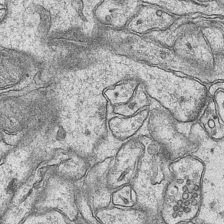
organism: Mouse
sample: CA1 Hippocampus